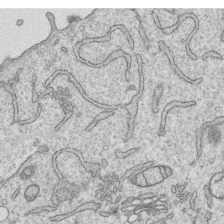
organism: Human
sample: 1205lu cells